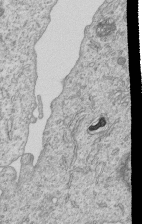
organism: Human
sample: MDA-MB-231 cells